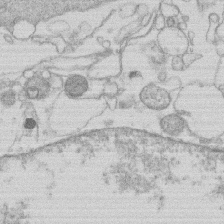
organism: Human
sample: Macrophage cells